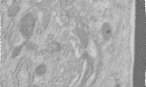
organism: Human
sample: Centriole in RPE cells